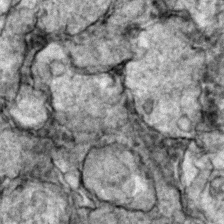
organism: Zebrafish